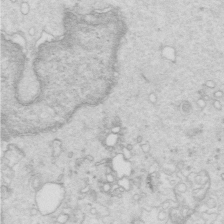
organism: Mouse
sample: Multiciliated cells